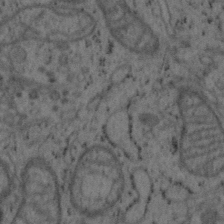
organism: Human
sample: HeLa cells